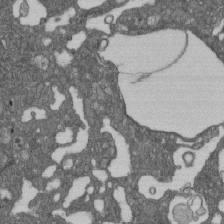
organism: Drosophila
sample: Nephrocyte